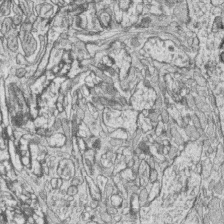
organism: Zebrafish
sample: synaptic ribbons in rod cells and cone cells